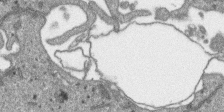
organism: Human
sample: Lung epithelial cells infected with SARS-CoV-2